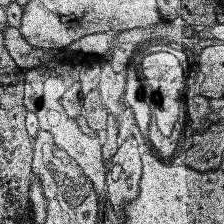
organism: Human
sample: Temporal Lobe